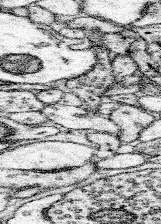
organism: Mouse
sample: Somatosensory cortex neuropil